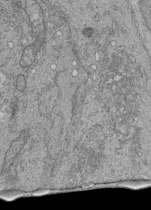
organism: Human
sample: Retinal organoid Rod and Cone cells